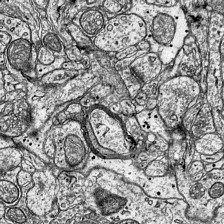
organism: Mouse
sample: Visual Cortex